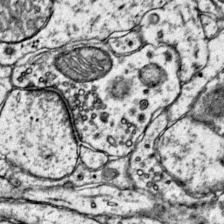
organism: Mouse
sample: Primary visual cortex